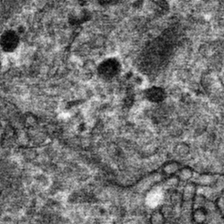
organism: Mouse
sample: Mouse hepatocytes